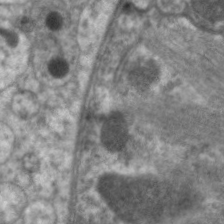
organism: C. elegans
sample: Pharynx